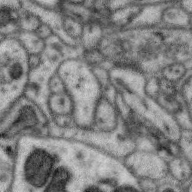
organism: Zebra finch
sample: Brain